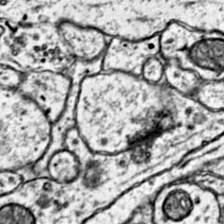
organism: Mouse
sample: Primary visual cortex